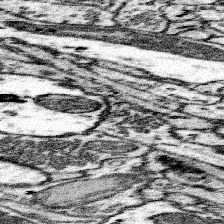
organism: Mouse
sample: Somatosensory cortex neuropil